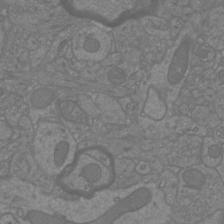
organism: Mouse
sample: Cortical neurons